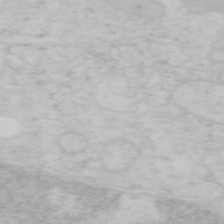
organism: Mouse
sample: OT-I killer T cells with ID8 ovarian cancer cells